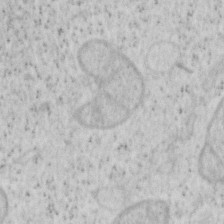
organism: Human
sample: HeLa cells